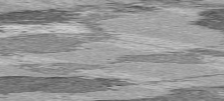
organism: C57BL Mouse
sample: Heart